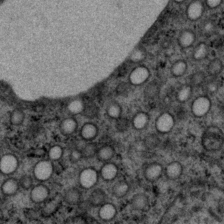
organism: P. pacificus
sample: Pharynx